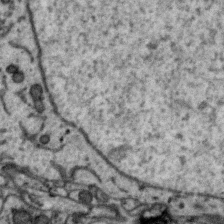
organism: Zebra finch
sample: Brain